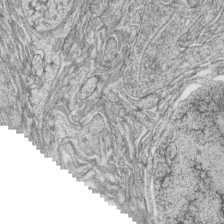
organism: Zebrafish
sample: synaptic ribbons in rod cells and cone cells